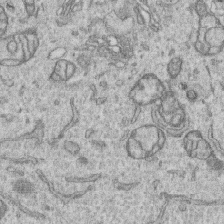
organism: Human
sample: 1205lu cells